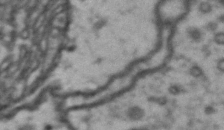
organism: Drosophila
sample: Brain